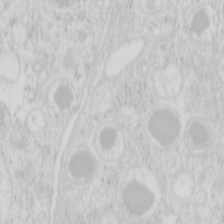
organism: Mouse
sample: Pancreas